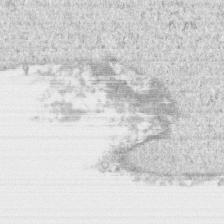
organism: Human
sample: CRL-1474